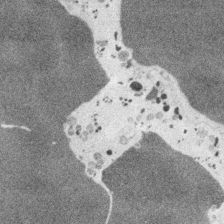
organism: Embia sp.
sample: Silk gland